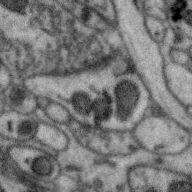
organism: Zebra finch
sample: Brain